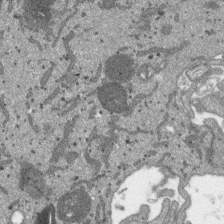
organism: Human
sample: Lung epithelial cells infected with SARS-CoV-2